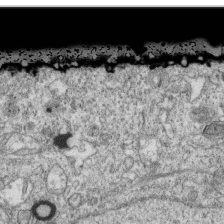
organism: Human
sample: HeLa cell HIV synapse